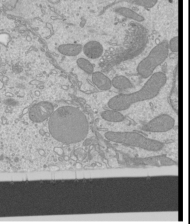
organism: Mouse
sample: Cilia; mouse epididymis